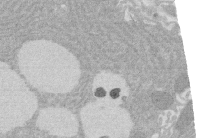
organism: Rat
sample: Salivary granule